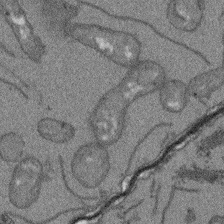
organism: Arabidopsis thaliana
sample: Root tip